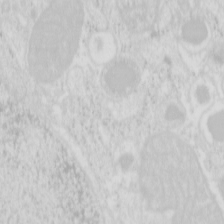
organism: Mouse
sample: Pancreas